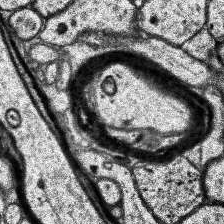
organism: Human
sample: Temporal Lobe